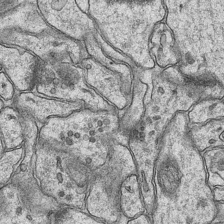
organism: Mouse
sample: CA1 Hippocampus